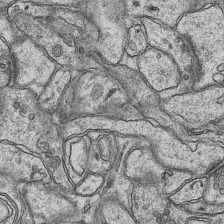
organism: Mouse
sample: CA1 Hippocampus